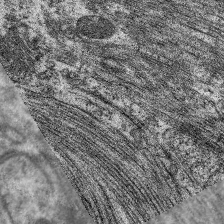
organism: C. elegans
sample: Pharynx